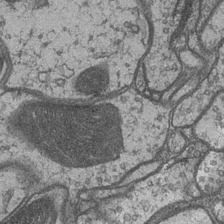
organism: Drosophila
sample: Optic medulla